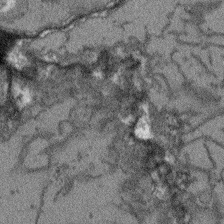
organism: Arabidopsis thaliana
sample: Root tip